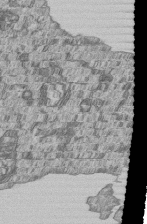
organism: Human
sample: MDA-MB-231 cells